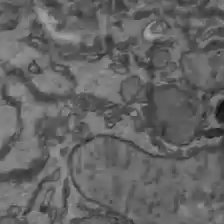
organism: C57BL Mouse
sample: Liver